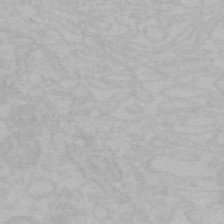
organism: Mouse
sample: Choroid plexus